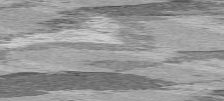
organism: C57BL Mouse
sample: Heart